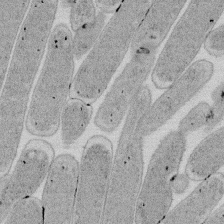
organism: E. coli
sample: Bacterial nucleoid